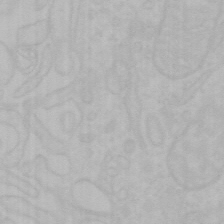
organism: Mouse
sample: Choroid plexus